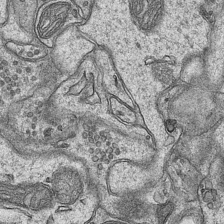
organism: Mouse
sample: CA1 Hippocampus